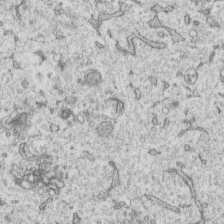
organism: Human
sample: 1205lu cells